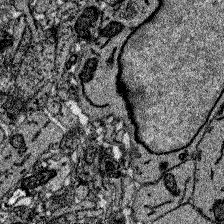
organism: Zebrafish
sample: Larval olfactory bulb